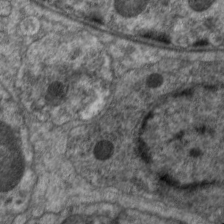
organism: C. elegans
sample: Pharynx